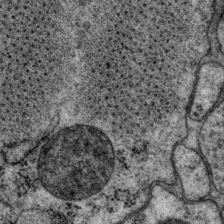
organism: P. pacificus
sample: Pharynx